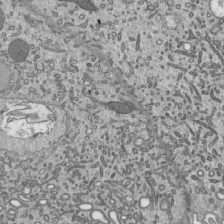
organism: Mouse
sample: Mouse epididymis efferent ductule cilia